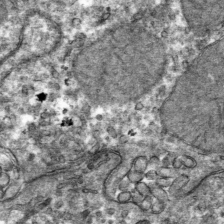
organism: Mouse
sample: Mouse hepatocytes